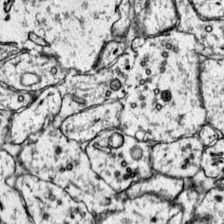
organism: Mouse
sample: Primary visual cortex